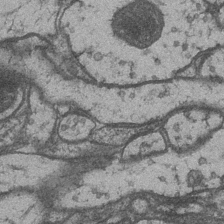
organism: Drosophila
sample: Optic medulla